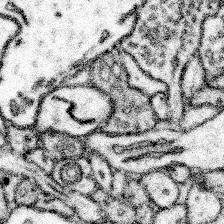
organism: Mouse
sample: Somatosensory cortex neuropil